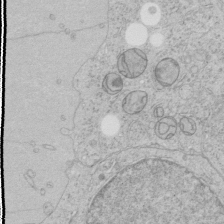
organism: Human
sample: Mitochondria in HCT116 cells